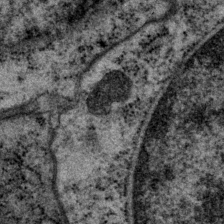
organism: P. pacificus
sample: Pharynx